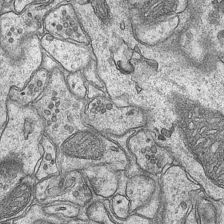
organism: Mouse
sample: CA1 Hippocampus